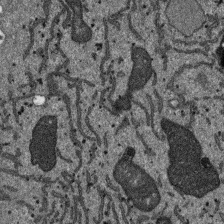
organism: Human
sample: Lung epithelial cells infected with SARS-CoV-2